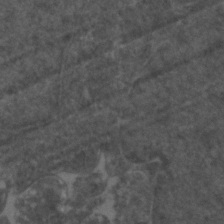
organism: Zebrafish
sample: Zebrafish embryo